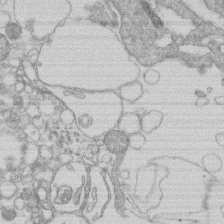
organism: Human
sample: Macrophage cells